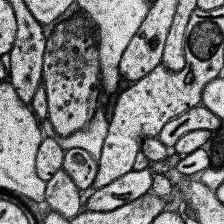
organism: Human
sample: Temporal Lobe